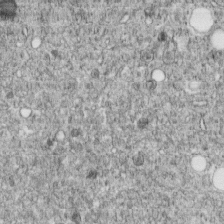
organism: C. elegans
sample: C. elegans embryo early stage